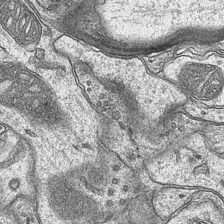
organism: Mouse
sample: CA1 Hippocampus